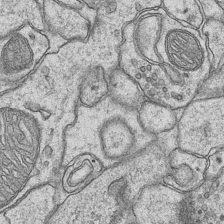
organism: Mouse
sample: CA1 Hippocampus